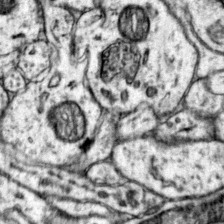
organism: Mouse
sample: Primary visual cortex